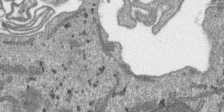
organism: Human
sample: Lung epithelial cells infected with SARS-CoV-2